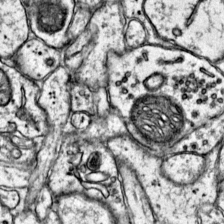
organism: Mouse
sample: Primary visual cortex